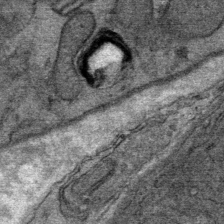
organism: Mouse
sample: Mouse Salivary gland